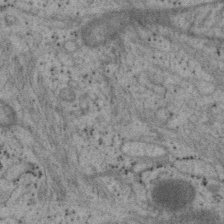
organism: Human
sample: HeLa cells